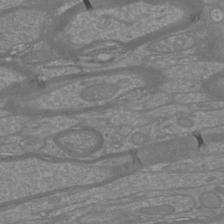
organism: Mouse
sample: Cortical neurons